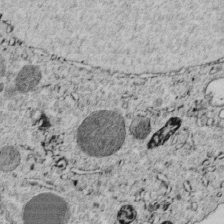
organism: C. elegans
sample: C. elegans embryo early stage